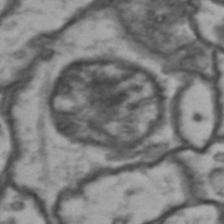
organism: Drosophila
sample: Brain